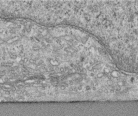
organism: Human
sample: Centriole in RPE cells